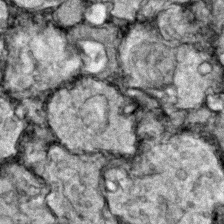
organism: Zebrafish